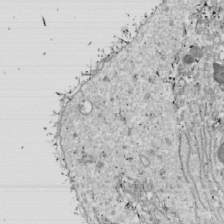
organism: Drosophila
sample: Cell division; meiosis; drosophila spermatocytes